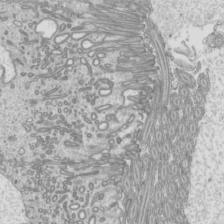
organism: Mouse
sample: Cilia; mouse epididymis